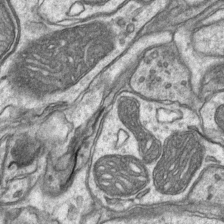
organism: Mouse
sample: CA1 Hippocampus